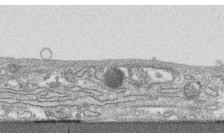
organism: Human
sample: CRL-1474